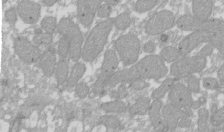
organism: Xenopus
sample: Cilia; centrioles in frog embryo cells